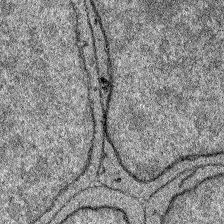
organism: Zebrafish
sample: Larval olfactory bulb